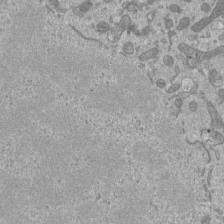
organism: Mouse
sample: ED-1 cell nuclei; centrioles